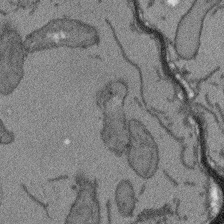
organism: Arabidopsis thaliana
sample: Root tip